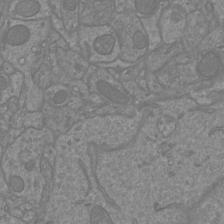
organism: Mouse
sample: Cortical neurons